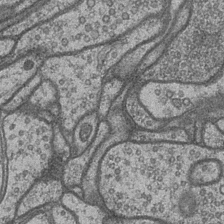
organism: Drosophila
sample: Optic medulla